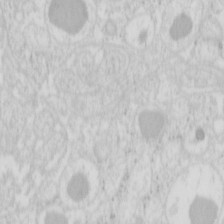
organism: Mouse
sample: Pancreas